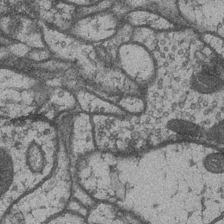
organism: Drosophila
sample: Optic medulla